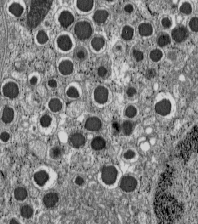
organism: C57BL Mouse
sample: Pancreatic islet